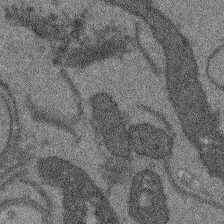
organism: Arabidopsis thaliana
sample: Root tip